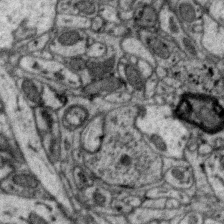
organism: Zebra finch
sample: Brain